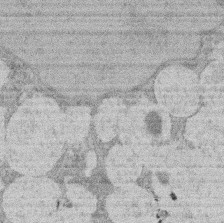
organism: Rat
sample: Salivary granule